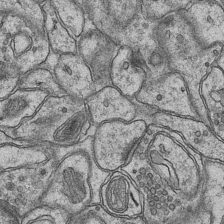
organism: Mouse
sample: CA1 Hippocampus